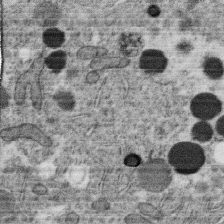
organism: C. elegans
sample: C. elegans oocyte; sperm cells